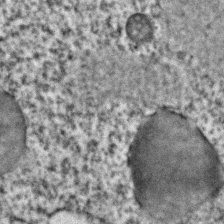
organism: C. elegans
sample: C. elegans embryo